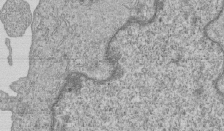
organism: Human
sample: MDA-MB-231 cells